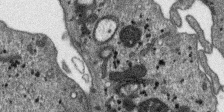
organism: Human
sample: Lung epithelial cells infected with SARS-CoV-2